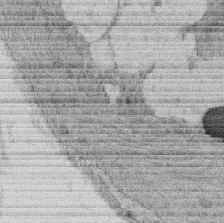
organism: Rat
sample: Salivary granule